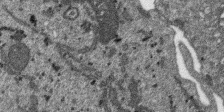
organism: Human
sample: Lung epithelial cells infected with SARS-CoV-2